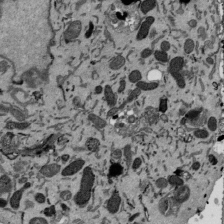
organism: Mouse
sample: ED-1 cell nuclei; centrioles